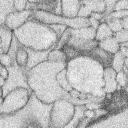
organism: Rabbit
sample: Retina